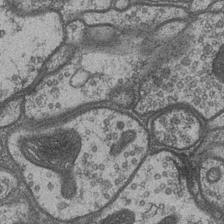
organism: Drosophila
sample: Optic medulla